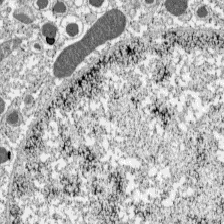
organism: C57BL Mouse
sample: Pancreatic islet